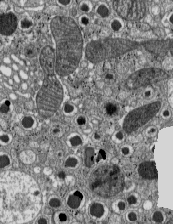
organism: C57BL Mouse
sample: Pancreatic islet